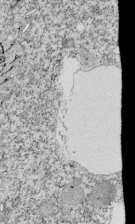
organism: Tetrahymena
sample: Cilia in tetrahymena